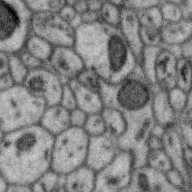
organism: Zebra finch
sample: Brain